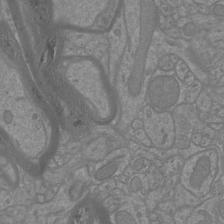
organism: Mouse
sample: Cortical neurons